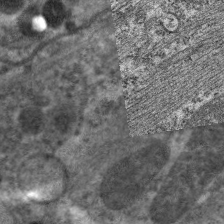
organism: C. elegans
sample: Pharynx